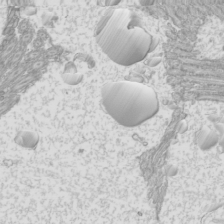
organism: Mouse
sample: Cilia; mouse epididymis